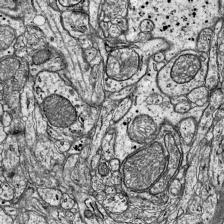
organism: Mouse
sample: Visual Cortex